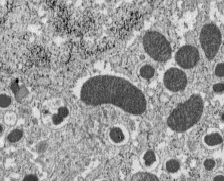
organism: C57BL Mouse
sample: Pancreatic islet